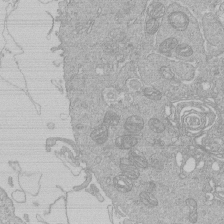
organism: Human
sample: Macrophage cells